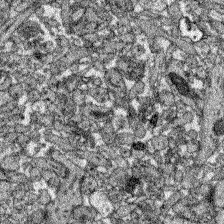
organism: Zebrafish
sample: Larval olfactory bulb